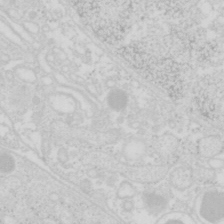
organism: Mouse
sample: Pancreas